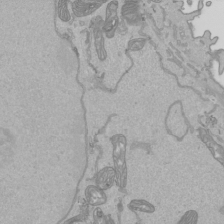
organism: Human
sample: Mitochondria in HCT116 cells